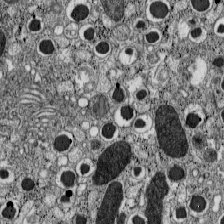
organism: C57BL Mouse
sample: Pancreatic islet